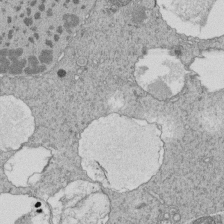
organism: Tetrahymena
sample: Cilia in tetrahymena